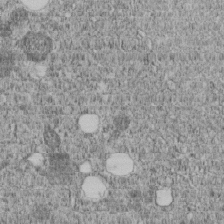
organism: C. elegans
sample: C. elegans embryo early stage